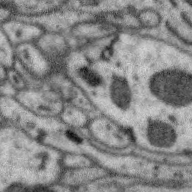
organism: Zebra finch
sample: Brain